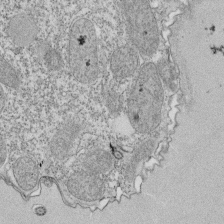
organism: Tetrahymena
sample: Cilia in tetrahymena